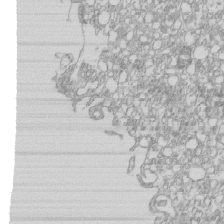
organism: Mouse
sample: Macrophages